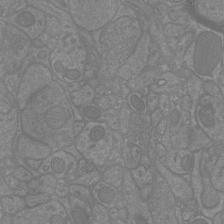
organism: Mouse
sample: Cortical neurons